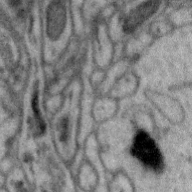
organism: Zebra finch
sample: Brain